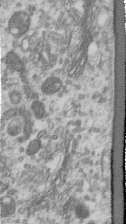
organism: Human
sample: Centriole in RPE cells